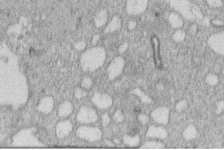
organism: Human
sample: Macrophage cells